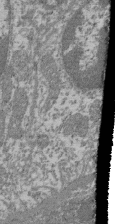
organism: Mouse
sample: Glomerulus